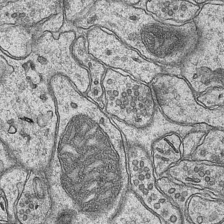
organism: Mouse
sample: CA1 Hippocampus